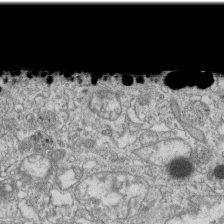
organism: Human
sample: HeLa cell HIV synapse